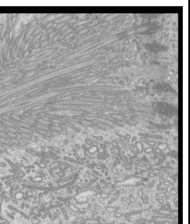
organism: Mouse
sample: Cilia; mouse epididymis